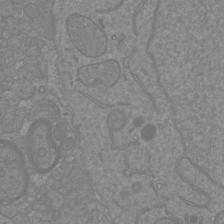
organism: Mouse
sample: Cortical neurons